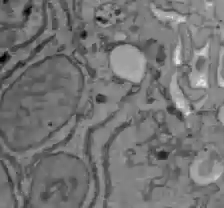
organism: C57BL Mouse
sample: Liver